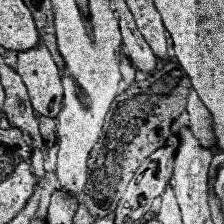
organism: Human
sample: Temporal Lobe